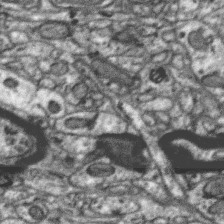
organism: Zebra finch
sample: Brain